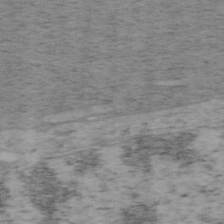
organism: Mouse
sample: OT-I killer T cells with ID8 ovarian cancer cells